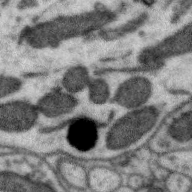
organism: Zebra finch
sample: Brain